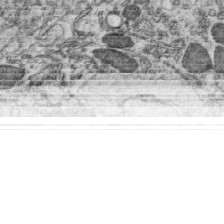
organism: C. elegans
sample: C. elegans oocyte; sperm cells